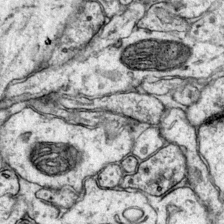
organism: Mouse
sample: Primary visual cortex